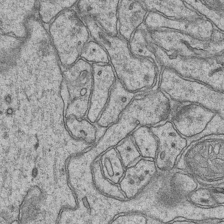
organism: Mouse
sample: CA1 Hippocampus